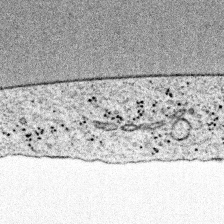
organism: Human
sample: HeLa cells